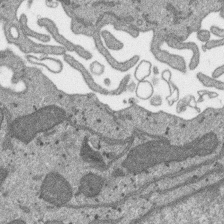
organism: Human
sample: Lung epithelial cells infected with SARS-CoV-2